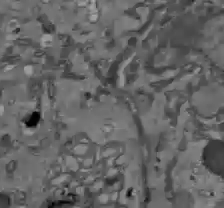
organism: C57BL Mouse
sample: Liver